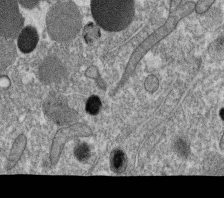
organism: C. elegans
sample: C. elegans oocyte; sperm cells